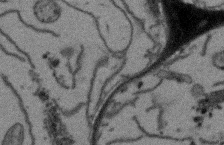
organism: Arabidopsis thaliana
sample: Root tip